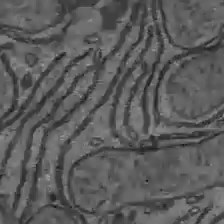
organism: C57BL Mouse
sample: Liver